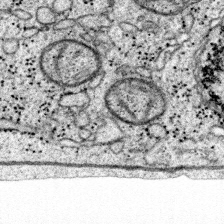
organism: Human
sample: HeLa cells